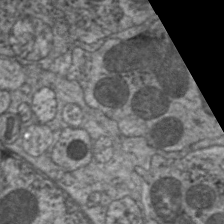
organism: C. elegans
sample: Pharynx